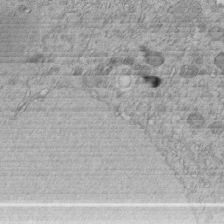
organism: C. elegans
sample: C. elegans embryo early stage